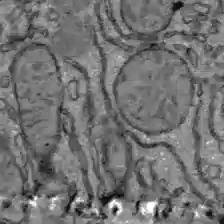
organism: C57BL Mouse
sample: Liver